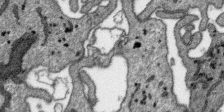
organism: Human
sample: Lung epithelial cells, uninfected (mock) control